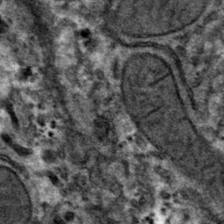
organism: Mouse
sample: Mouse hepatocytes